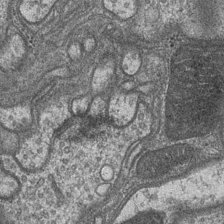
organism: Drosophila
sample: Optic medulla